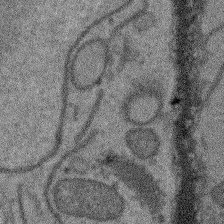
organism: Arabidopsis thaliana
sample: Root tip